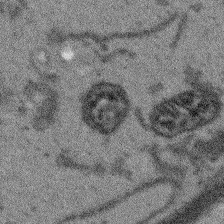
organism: Arabidopsis thaliana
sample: Root tip